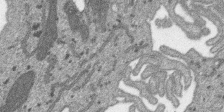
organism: Human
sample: Lung epithelial cells infected with SARS-CoV-2